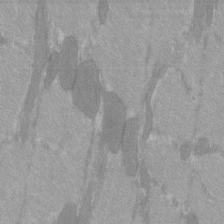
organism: C57BL Mouse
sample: Tibialis anterior muscle cell